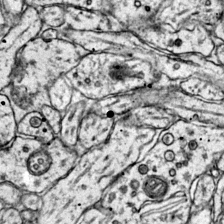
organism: Mouse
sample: Primary visual cortex